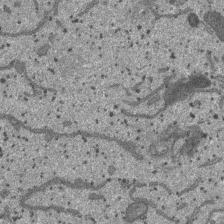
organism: Human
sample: Lung epithelial cells infected with SARS-CoV-2